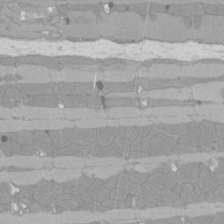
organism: Rat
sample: Left ventricle